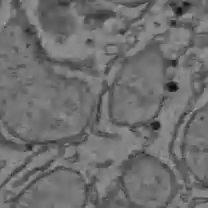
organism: C57BL Mouse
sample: Liver